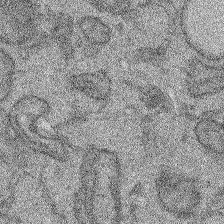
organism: Human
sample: HeLa cells